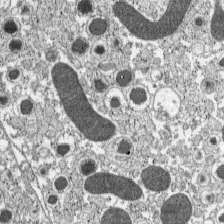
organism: C57BL Mouse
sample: Pancreatic islet